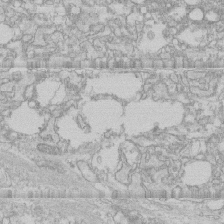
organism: Human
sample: CRL-1474